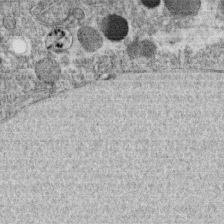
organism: C. elegans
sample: C. elegans oocyte; sperm cells